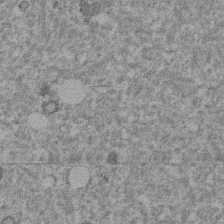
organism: Mouse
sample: Dividing mouse embryo 1 cell stage